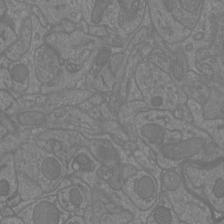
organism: Mouse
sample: Cortical neurons